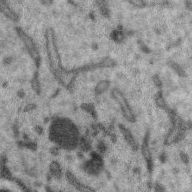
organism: Zebra finch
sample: Brain